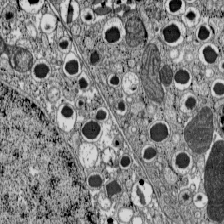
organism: C57BL Mouse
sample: Pancreatic islet